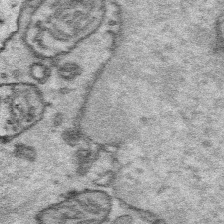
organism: Platynereis dumerilii